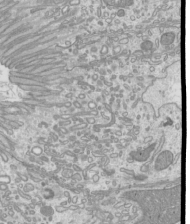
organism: Mouse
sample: Cilia; mouse epididymis